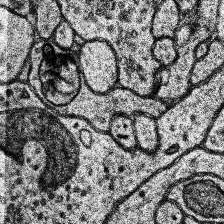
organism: Human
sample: Temporal Lobe